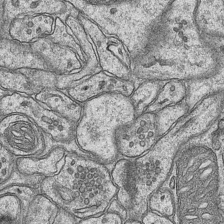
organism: Mouse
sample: CA1 Hippocampus